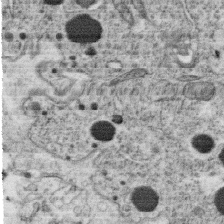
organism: C. elegans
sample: C. elegans oocyte; sperm cells